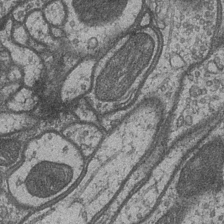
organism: Drosophila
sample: Optic medulla